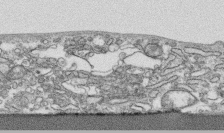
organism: Human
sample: CRL-1474